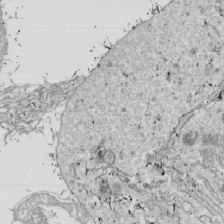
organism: Drosophila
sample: Cell division; meiosis; drosophila spermatocytes